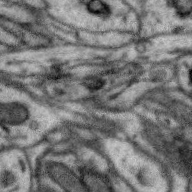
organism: Zebra finch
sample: Brain